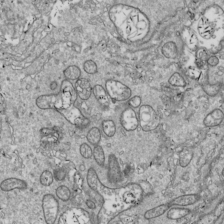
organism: Drosophila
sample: Cell division; meiosis; drosophila spermatocytes